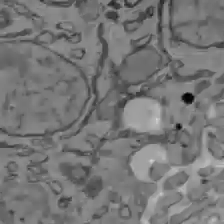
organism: C57BL Mouse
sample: Liver